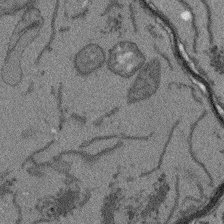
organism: Arabidopsis thaliana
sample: Root tip